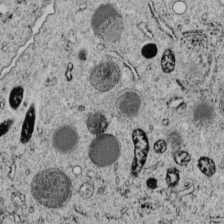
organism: C. elegans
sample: C. elegans embryo early stage